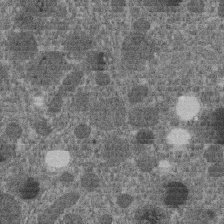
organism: C. elegans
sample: C. elegans embryo early stage